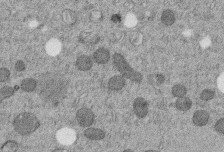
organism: C. elegans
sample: C. elegans embryo early stage